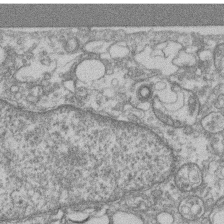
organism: Mouse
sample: T cell stromal cell synapse